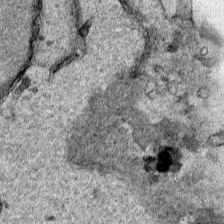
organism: Human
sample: Mitochondria in HCT116 cells